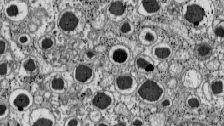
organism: C57BL Mouse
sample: Pancreatic islet